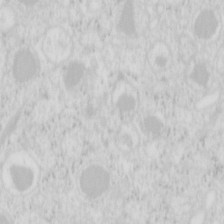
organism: Mouse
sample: Pancreas